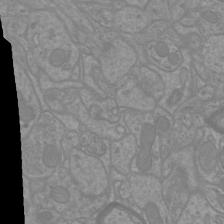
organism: Mouse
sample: Cortical neurons